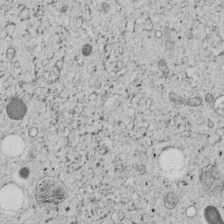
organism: C. elegans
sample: C. elegans embryo early stage